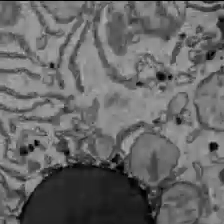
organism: C57BL Mouse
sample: Liver